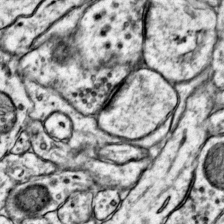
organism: Mouse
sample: Primary visual cortex